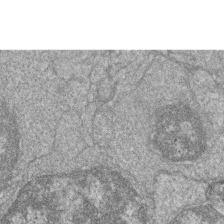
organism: Zebrafish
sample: Cilia; retinal pigment epithelium